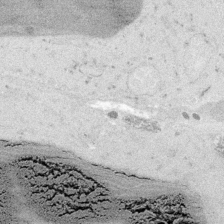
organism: Embia sp.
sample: Silk gland